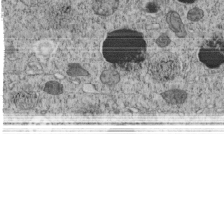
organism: C. elegans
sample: C. elegans embryo early stage